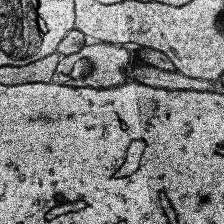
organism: Human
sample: Temporal Lobe